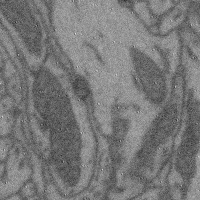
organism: Mouse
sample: Cerebral cortex